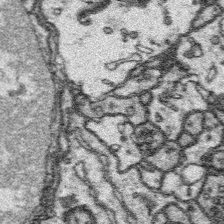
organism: Platynereis dumerilii